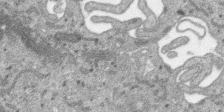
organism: Human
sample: Lung epithelial cells infected with SARS-CoV-2